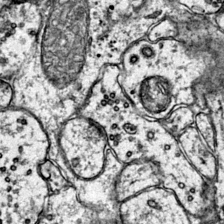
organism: Mouse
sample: Primary visual cortex